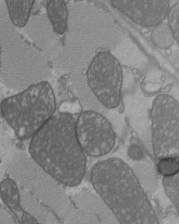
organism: C57BL Mouse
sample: Heart